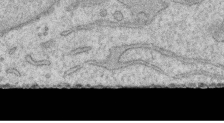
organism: Human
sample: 1205lu cells